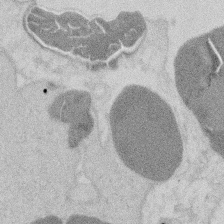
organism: Mouse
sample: T cell stromal cell synapse